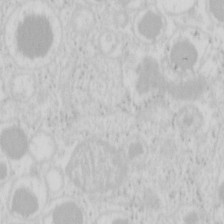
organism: Mouse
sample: Pancreas